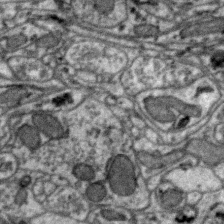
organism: Zebra finch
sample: Brain